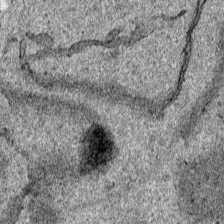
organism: Human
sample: Mitochondria in HCT116 cells